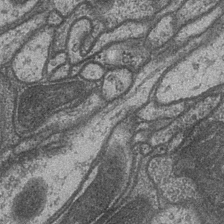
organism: Drosophila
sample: Optic medulla